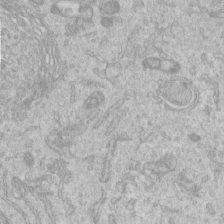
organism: Human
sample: Centriole in RPE cells